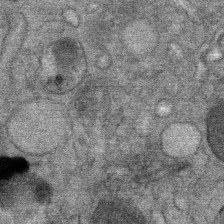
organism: Mouse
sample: Mouse Salivary gland